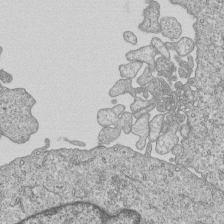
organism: Human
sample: MDA-MB-231 cells